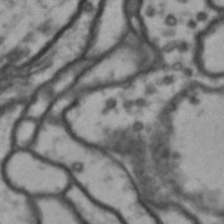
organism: Drosophila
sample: Brain